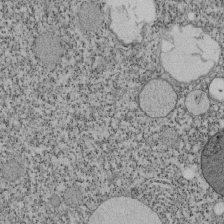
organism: Tetrahymena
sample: Cilia in tetrahymena